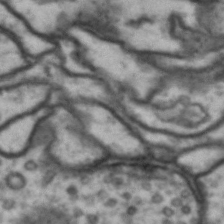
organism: Drosophila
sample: Brain